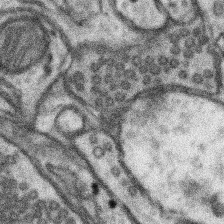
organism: Mouse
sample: Somatosensory cortex neuropil